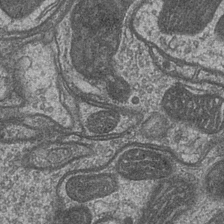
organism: Drosophila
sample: Optic medulla